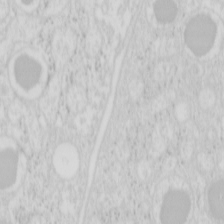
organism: Mouse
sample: Pancreas